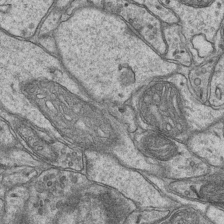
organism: Mouse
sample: CA1 Hippocampus